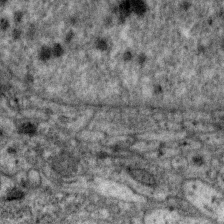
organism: Zebra finch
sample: Brain